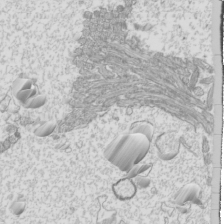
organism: Mouse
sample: Cilia; mouse epididymis